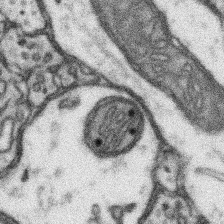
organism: Mouse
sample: Somatosensory cortex neuropil